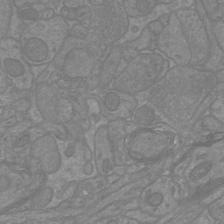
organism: Mouse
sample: Cortical neurons